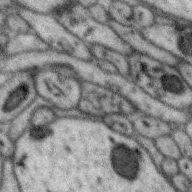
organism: Zebra finch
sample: Brain